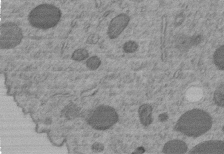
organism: C. elegans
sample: C. elegans embryo early stage